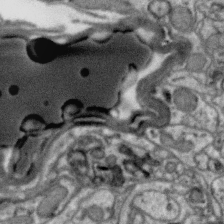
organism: Zebra finch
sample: Brain